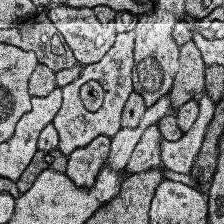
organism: Human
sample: Temporal Lobe